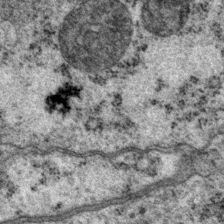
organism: P. pacificus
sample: Pharynx